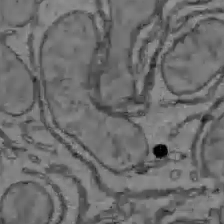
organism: C57BL Mouse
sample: Liver